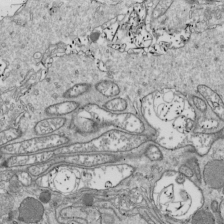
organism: Drosophila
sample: Cell division; meiosis; drosophila spermatocytes